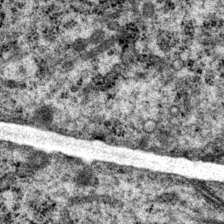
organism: P. pacificus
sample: Pharynx